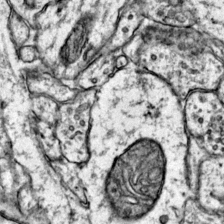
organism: Mouse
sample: Primary visual cortex